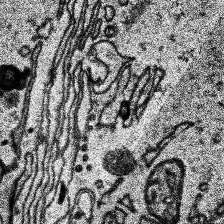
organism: Human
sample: Temporal Lobe